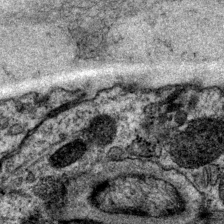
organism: P. pacificus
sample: Pharynx